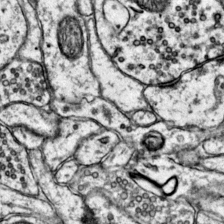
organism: Mouse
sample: Primary visual cortex